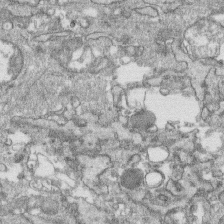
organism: Human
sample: CRL-1474